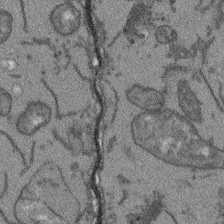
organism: Arabidopsis thaliana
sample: Root tip